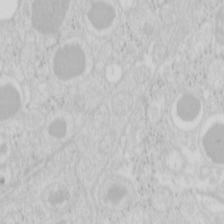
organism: Mouse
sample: Pancreas